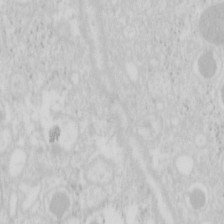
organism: Mouse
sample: Pancreas